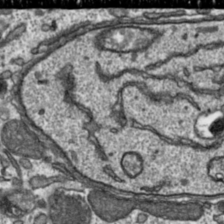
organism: Toxoplasma gondii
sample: Parasites in a vacuole inside a host cell